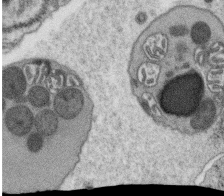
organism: C. elegans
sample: C. elegans oocyte; sperm cells